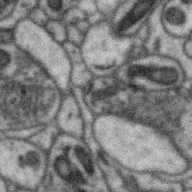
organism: Zebra finch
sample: Brain